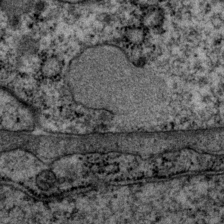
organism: P. pacificus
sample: Pharynx